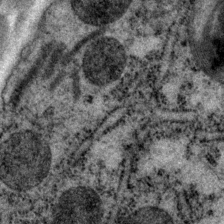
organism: P. pacificus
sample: Pharynx